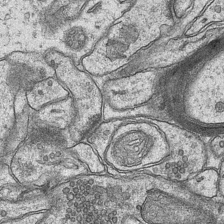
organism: Mouse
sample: CA1 Hippocampus